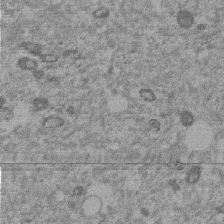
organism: Mouse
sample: Dividing mouse embryo 1 cell stage